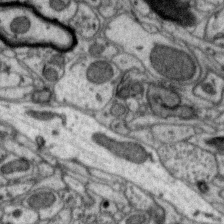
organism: Zebra finch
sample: Brain